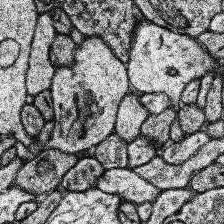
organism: Human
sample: Temporal Lobe